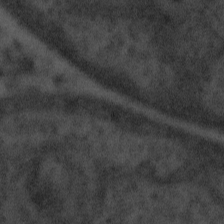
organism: Tuwongella immobilis